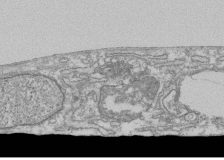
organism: Human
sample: Fibroblast cells